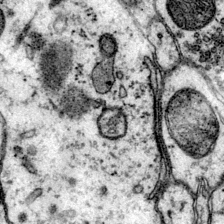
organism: Mouse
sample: Primary visual cortex